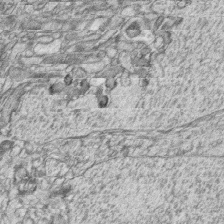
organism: Zebrafish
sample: synaptic ribbons in rod cells and cone cells